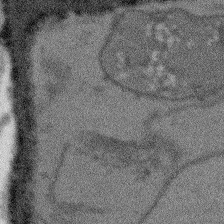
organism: Arabidopsis thaliana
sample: Root tip